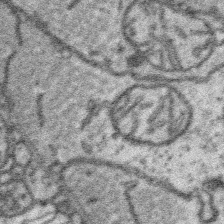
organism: Platynereis dumerilii